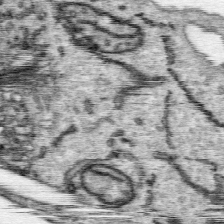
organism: Human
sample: HeLa cells